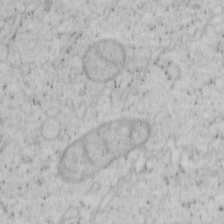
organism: Human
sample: HeLa cells